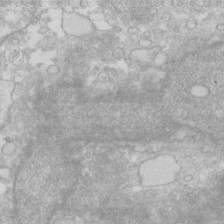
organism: Human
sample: Fibroblast cells